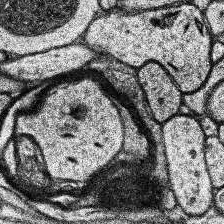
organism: Human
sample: Temporal Lobe